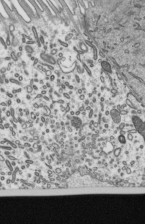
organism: Mouse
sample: Mouse epididymis efferent ductule cilia